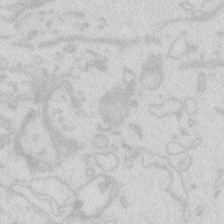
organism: Zebrafish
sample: Macrophage